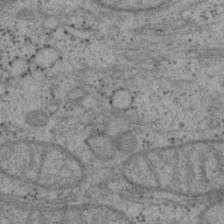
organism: Human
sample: HeLa cells